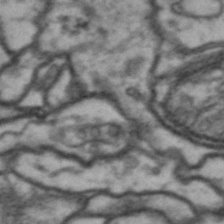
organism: Drosophila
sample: Brain